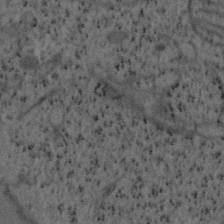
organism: Human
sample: HeLa cells